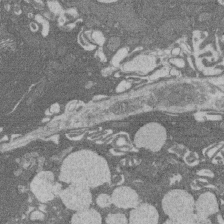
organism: Rat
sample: Salivary granule